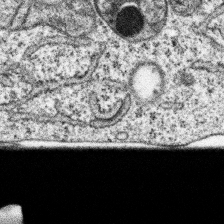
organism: Human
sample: HeLa cells